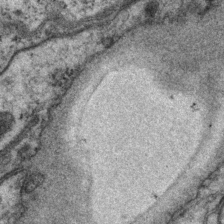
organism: P. pacificus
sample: Pharynx